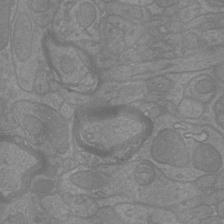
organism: Mouse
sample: Cortical neurons